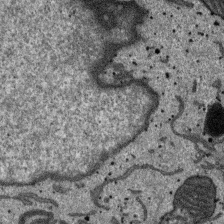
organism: Human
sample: Lung epithelial cells, uninfected (mock) control